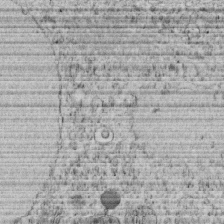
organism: C. elegans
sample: C. elegans embryo early stage